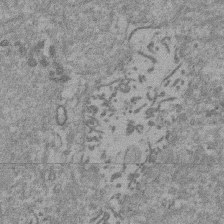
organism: Mouse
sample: Dividing mouse embryo 1 cell stage